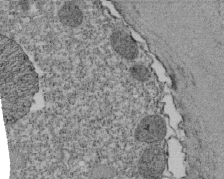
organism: Tetrahymena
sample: Cilia in tetrahymena